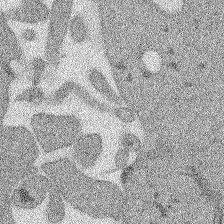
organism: Human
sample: HeLa cells